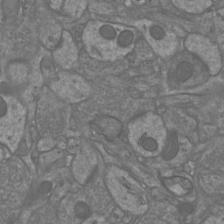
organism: Mouse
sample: Cortical neurons